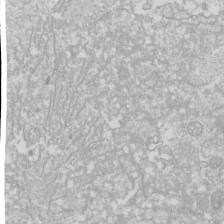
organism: Drosophila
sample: Cell division; meiosis; drosophila spermatocytes